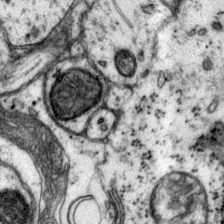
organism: Mouse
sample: Primary visual cortex